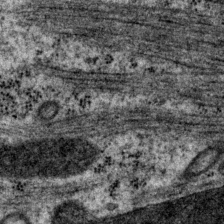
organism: P. pacificus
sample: Pharynx